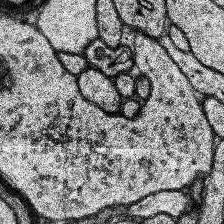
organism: Human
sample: Temporal Lobe